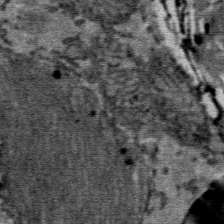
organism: Mouse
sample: Mouse Salivary gland